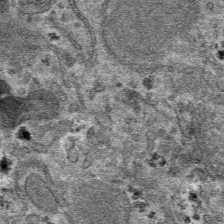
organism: Mouse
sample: Mouse hepatocytes